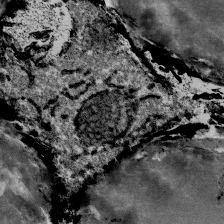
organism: Mouse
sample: Mouse Salivary gland